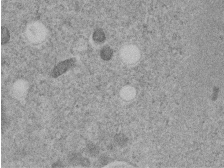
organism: C. elegans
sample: C. elegans embryo early stage